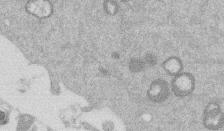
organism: Mouse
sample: Dividing mouse embryo 1 cell stage